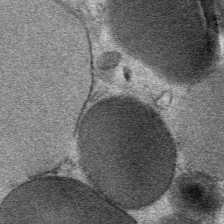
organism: Mouse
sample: Mouse Salivary gland